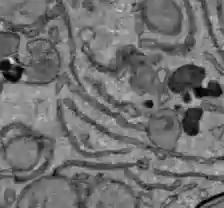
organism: C57BL Mouse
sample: Liver